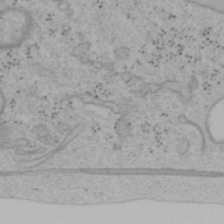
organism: Human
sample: HeLa cells